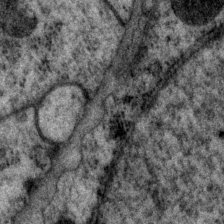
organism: P. pacificus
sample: Pharynx